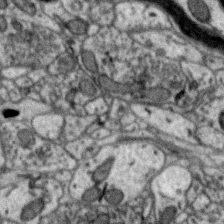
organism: Zebra finch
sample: Brain